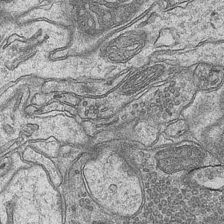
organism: Mouse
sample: CA1 Hippocampus